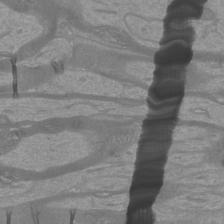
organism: Mouse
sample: Cortical neurons